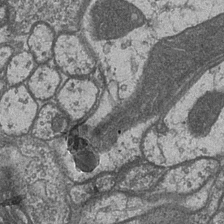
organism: Drosophila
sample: Optic medulla